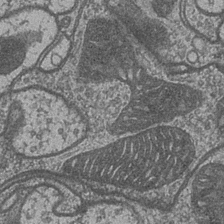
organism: Drosophila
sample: Optic medulla